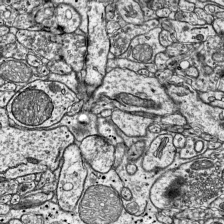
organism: Mouse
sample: Visual Cortex